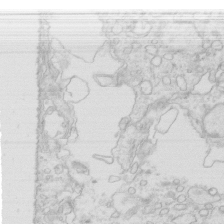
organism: Mouse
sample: Multiciliated cells